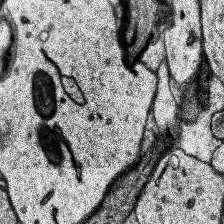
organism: Human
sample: Temporal Lobe